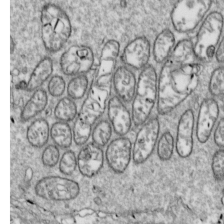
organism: Drosophila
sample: Cell division; meiosis; drosophila spermatocytes